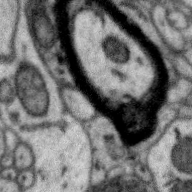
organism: Zebra finch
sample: Brain